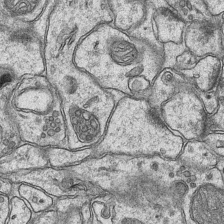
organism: Mouse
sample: CA1 Hippocampus